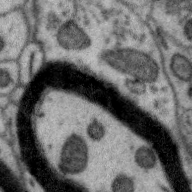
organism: Zebra finch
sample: Brain